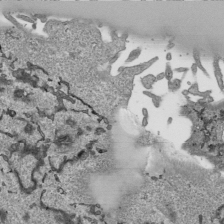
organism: Human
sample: Mitochondria in HCT116 cells